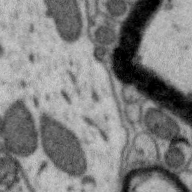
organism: Zebra finch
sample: Brain